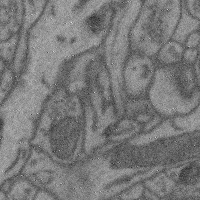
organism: Mouse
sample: Cerebral cortex